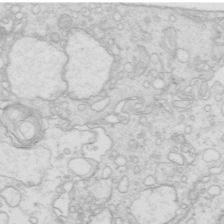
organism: Mouse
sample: Multiciliated cells